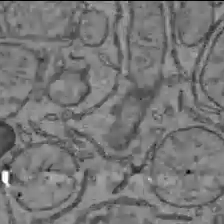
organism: C57BL Mouse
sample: Liver